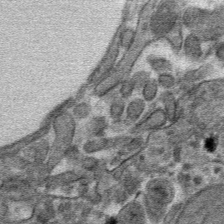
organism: Mouse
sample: Mouse hepatocytes